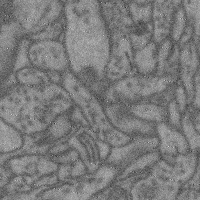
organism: Mouse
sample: Cerebral cortex